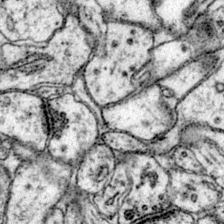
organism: Mouse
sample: Primary visual cortex